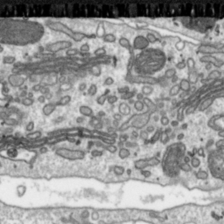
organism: Toxoplasma gondii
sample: Parasites in a vacuole inside a host cell